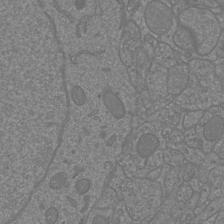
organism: Mouse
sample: Cortical neurons